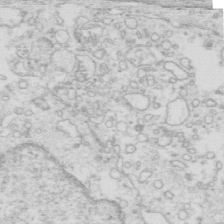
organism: Mouse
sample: Multiciliated cells